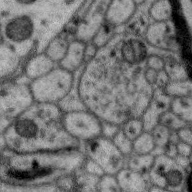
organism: Zebra finch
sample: Brain